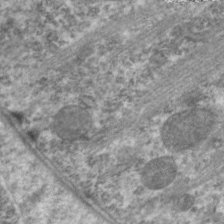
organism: C. elegans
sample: Pharynx